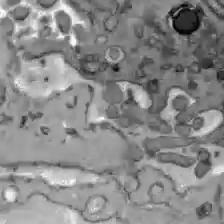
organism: C57BL Mouse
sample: Liver